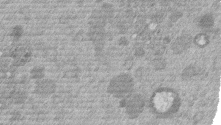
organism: Mouse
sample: Dividing mouse embryo 1 cell stage